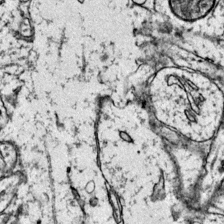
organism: Mouse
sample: Primary visual cortex